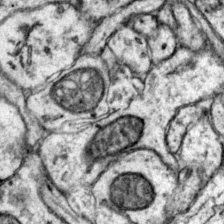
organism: Mouse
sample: Primary visual cortex